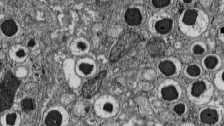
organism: C57BL Mouse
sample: Pancreatic islet